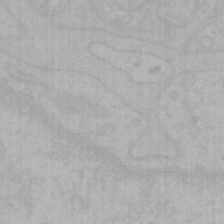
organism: Mouse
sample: Choroid plexus